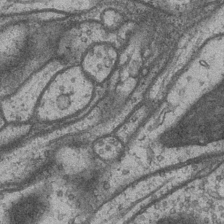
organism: Drosophila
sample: Optic medulla